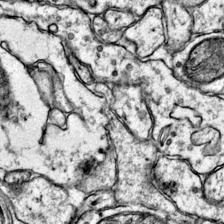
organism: Mouse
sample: Primary visual cortex